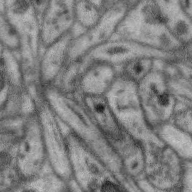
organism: Zebra finch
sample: Brain